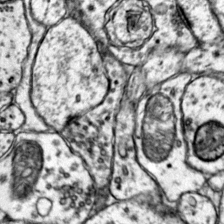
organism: Mouse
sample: Primary visual cortex